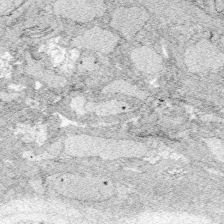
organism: Zebrafish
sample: Whole-Brain